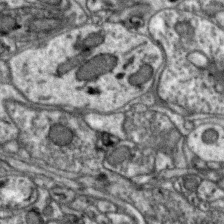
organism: Zebra finch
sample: Brain